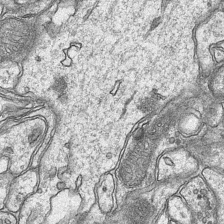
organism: Mouse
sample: CA1 Hippocampus